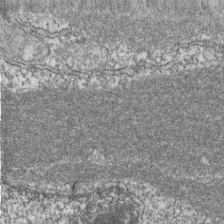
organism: Zebrafish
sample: Cilia; retinal pigment epithelium